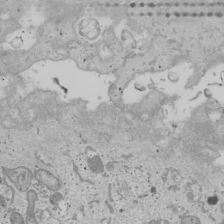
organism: Human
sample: Mitochondria in U2OS cells